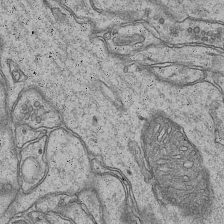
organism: Mouse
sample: CA1 Hippocampus